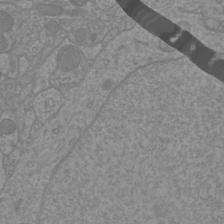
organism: Mouse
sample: Cortical neurons